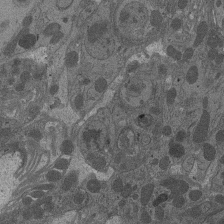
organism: Drosophila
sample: Antenna